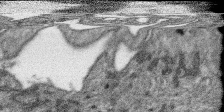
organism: Human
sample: Lung epithelial cells infected with SARS-CoV-2